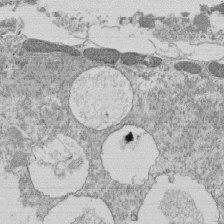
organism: Tetrahymena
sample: Cilia in tetrahymena